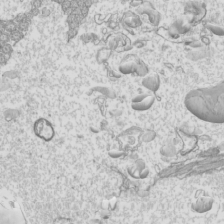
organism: Mouse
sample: Cilia; mouse epididymis